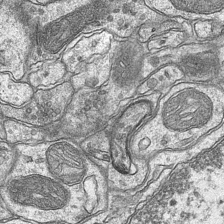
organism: Mouse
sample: CA1 Hippocampus